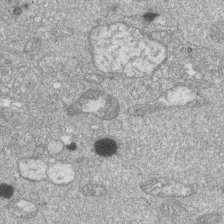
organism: Human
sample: HeLa cell HIV synapse